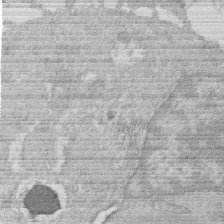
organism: Human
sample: Macrophage cells